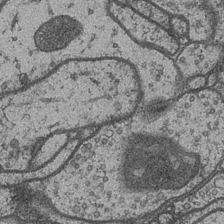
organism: Drosophila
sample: Optic medulla